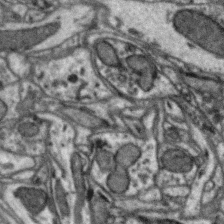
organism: Zebra finch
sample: Brain